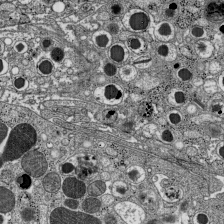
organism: C57BL Mouse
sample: Pancreatic islet